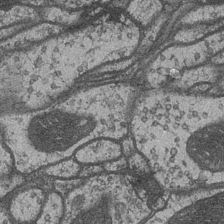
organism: Drosophila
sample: Optic medulla